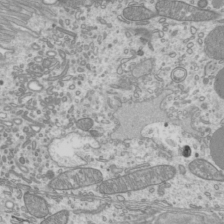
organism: Mouse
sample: Cilia; mouse epididymis